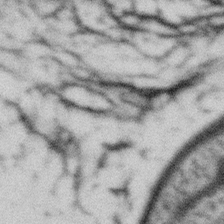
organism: Gemmata obscuriglobus